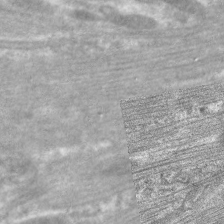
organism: C. elegans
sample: Pharynx